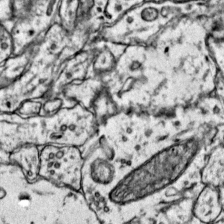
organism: Mouse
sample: Primary visual cortex